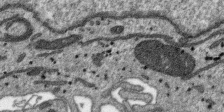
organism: Human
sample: Lung epithelial cells, uninfected (mock) control